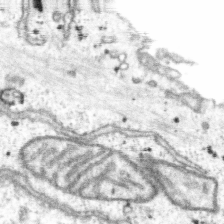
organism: Human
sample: HeLa cells